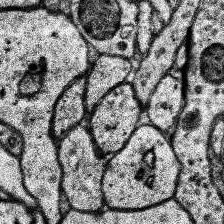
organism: Human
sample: Temporal Lobe